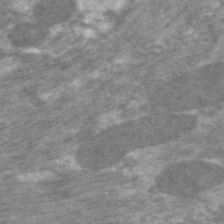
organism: C. elegans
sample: Pharynx